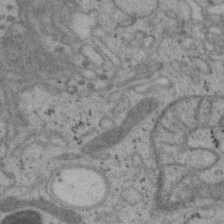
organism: Human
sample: HeLa cells